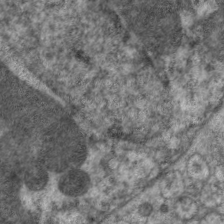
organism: C. elegans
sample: Pharynx